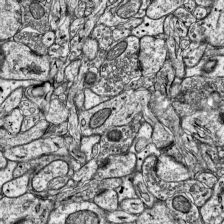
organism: Mouse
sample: Visual Cortex